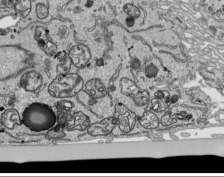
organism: Human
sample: Mitochondria in HCT116 cells